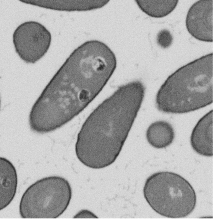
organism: B. subtilis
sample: Bacterial spore